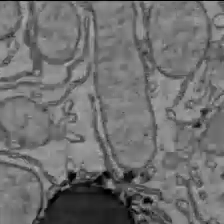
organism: C57BL Mouse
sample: Liver